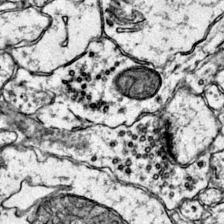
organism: Mouse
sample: Primary visual cortex